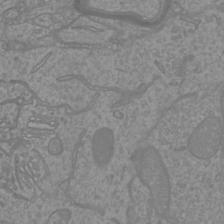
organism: Mouse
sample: Cortical neurons